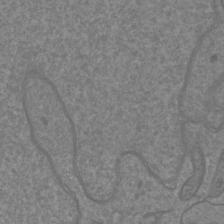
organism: Mouse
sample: Cortical neurons